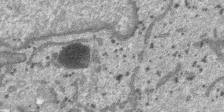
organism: Human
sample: Lung epithelial cells infected with SARS-CoV-2